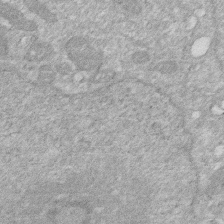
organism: Human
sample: HIV infected U937 cells